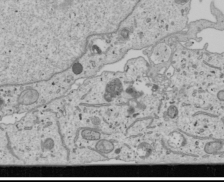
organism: Human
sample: Mitochondria in U2OS cells